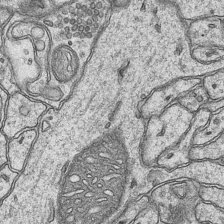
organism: Mouse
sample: CA1 Hippocampus